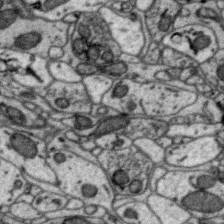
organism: Zebra finch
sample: Brain